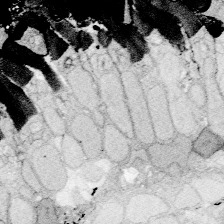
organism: Zebrafish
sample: Whole-Brain